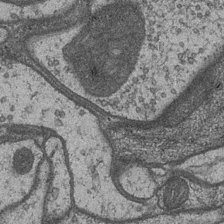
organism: Drosophila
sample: Optic medulla